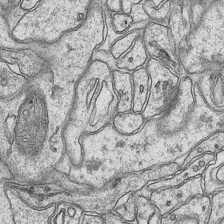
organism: Mouse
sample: CA1 Hippocampus